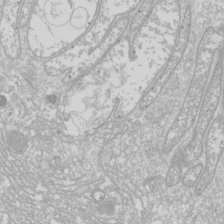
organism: Drosophila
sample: Cell division; meiosis; drosophila spermatocytes